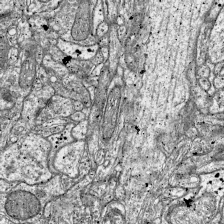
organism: Mouse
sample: Visual Cortex